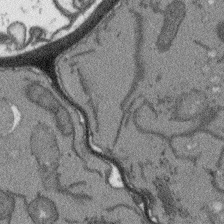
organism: Arabidopsis thaliana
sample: Root tip